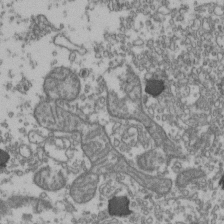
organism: Human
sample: Activated Jurkat CD4+ T cells